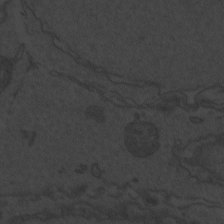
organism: Zebrafish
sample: Macrophage infected with Toxoplasma gondii